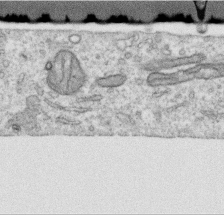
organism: Human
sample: Centriole in RPE cells